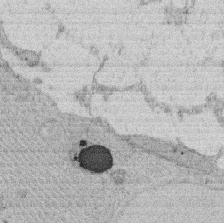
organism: Rat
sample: Salivary granule